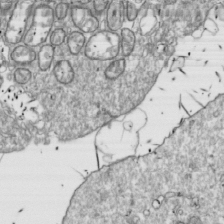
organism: Drosophila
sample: Cell division; meiosis; drosophila spermatocytes